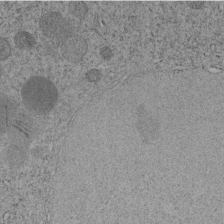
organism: C. elegans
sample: C. elegans embryo early stage